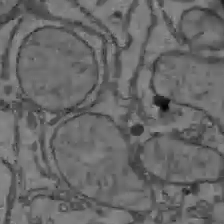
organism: C57BL Mouse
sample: Liver